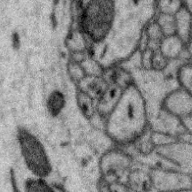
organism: Zebra finch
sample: Brain